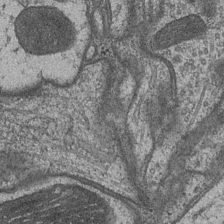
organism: Drosophila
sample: Optic medulla